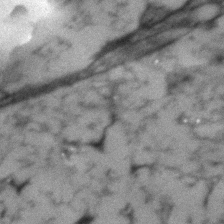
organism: Human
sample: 1205lu cells